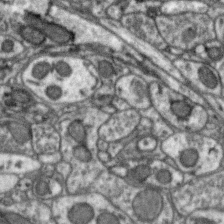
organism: Zebra finch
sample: Brain